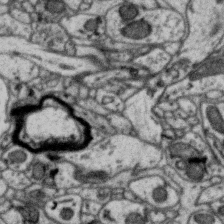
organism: Zebra finch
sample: Brain